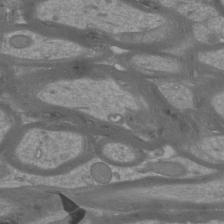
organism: Mouse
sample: Cortical neurons